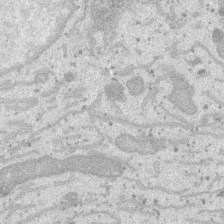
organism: Human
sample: Lung epithelial cells infected with SARS-CoV-2